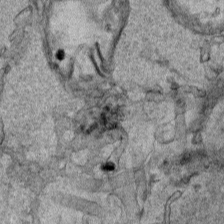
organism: Human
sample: Mitochondria in HCT116 cells